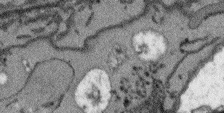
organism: Arabidopsis thaliana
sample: Root tip